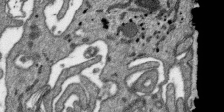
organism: Human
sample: Lung epithelial cells, uninfected (mock) control